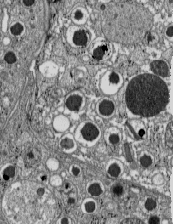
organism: C57BL Mouse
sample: Pancreatic islet